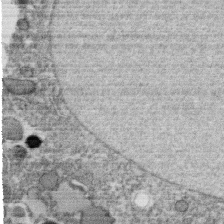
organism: C. elegans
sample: C. elegans oocyte; sperm cells